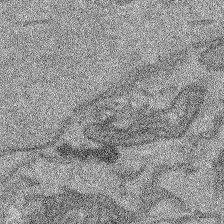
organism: Human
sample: HeLa cells